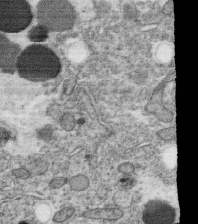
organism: C. elegans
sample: C. elegans oocyte; sperm cells